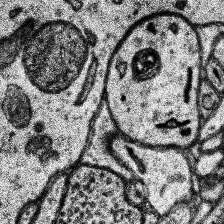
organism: Human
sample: Temporal Lobe